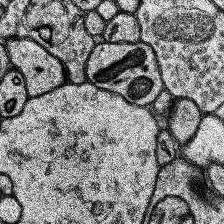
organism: Human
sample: Temporal Lobe